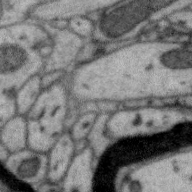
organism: Zebra finch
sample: Brain